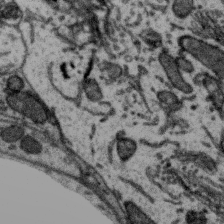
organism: Zebra finch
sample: Brain